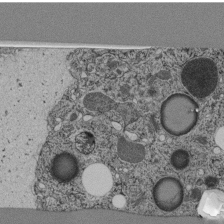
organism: C. elegans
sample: C. elegans pharynx